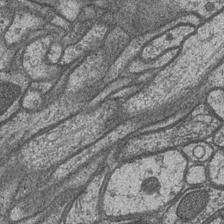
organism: Drosophila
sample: Optic medulla